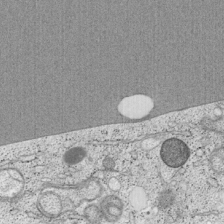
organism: African green monkey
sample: COS-7 cells